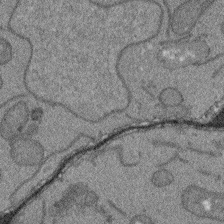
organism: Arabidopsis thaliana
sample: Root tip